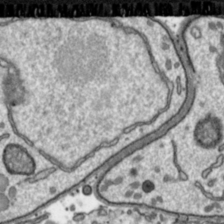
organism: Toxoplasma gondii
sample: Parasites in a vacuole inside a host cell